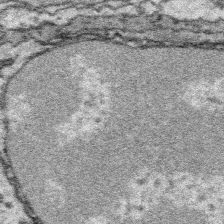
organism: Platynereis dumerilii